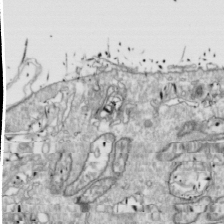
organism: Drosophila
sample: Cell division; meiosis; drosophila spermatocytes